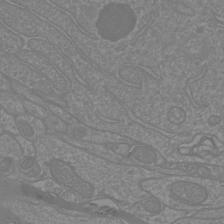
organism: Mouse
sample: Cortical neurons